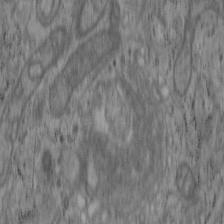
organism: Human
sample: HeLa cells